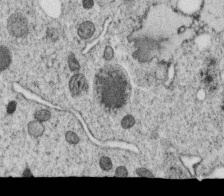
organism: C. elegans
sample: C. elegans oocyte; sperm cells